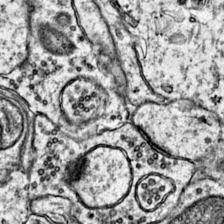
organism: Mouse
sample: Primary visual cortex